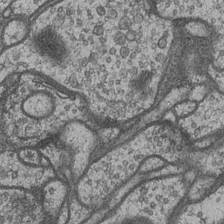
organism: Drosophila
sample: Optic medulla